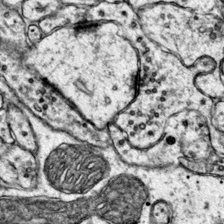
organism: Mouse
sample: Primary visual cortex